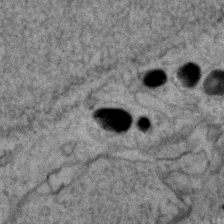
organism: Zebrafish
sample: Zebrafish embryo